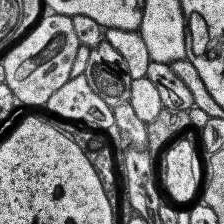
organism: Human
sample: Temporal Lobe